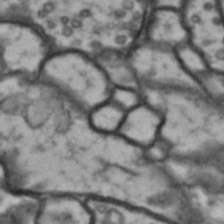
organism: Drosophila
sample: Brain